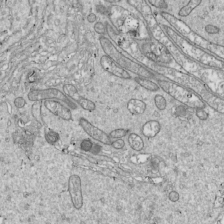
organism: Drosophila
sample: Cell division; meiosis; drosophila spermatocytes